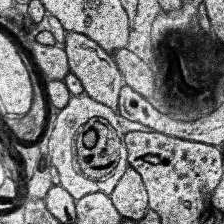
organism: Human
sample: Temporal Lobe